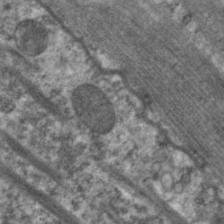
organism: C. elegans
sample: Pharynx